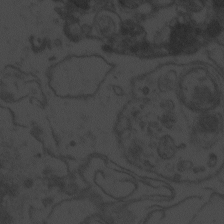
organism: Zebrafish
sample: Macrophage infected with Toxoplasma gondii